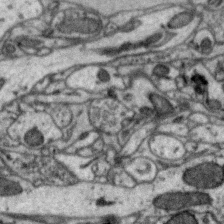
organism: Zebra finch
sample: Brain